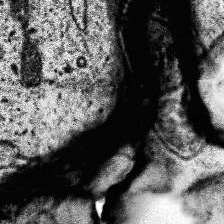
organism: Human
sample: Temporal Lobe